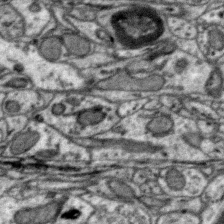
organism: Zebra finch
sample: Brain